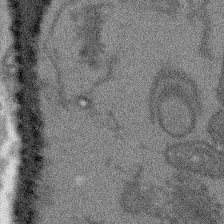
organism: Arabidopsis thaliana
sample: Root tip